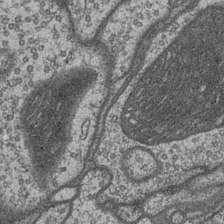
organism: Drosophila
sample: Optic medulla